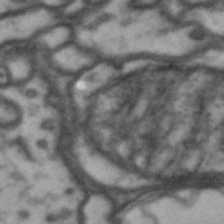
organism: Drosophila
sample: Brain